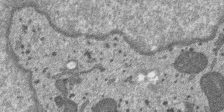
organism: Human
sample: Lung epithelial cells infected with SARS-CoV-2